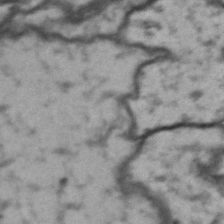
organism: Drosophila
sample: Brain